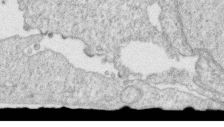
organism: Human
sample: HeLa cell HIV synapse